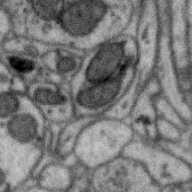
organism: Zebra finch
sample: Brain